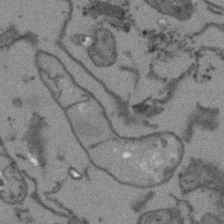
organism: Arabidopsis thaliana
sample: Root tip